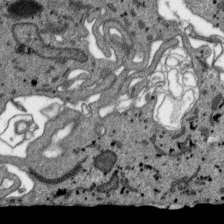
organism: Human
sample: Lung epithelial cells, uninfected (mock) control